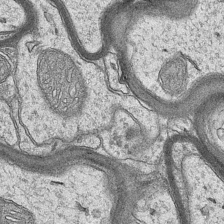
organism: Mouse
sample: CA1 Hippocampus